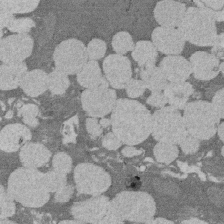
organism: Rat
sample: Salivary granule